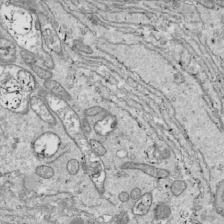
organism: Drosophila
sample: Cell division; meiosis; drosophila spermatocytes